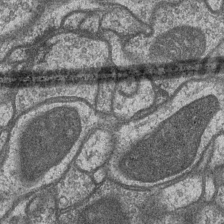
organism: Drosophila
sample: Optic medulla